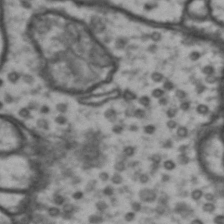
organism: Drosophila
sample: Brain